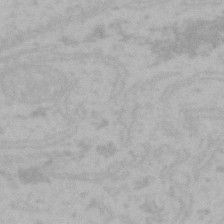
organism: Mouse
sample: Choroid plexus